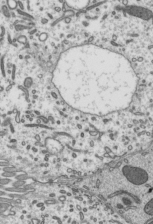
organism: Mouse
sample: Mouse epididymis efferent ductule cilia